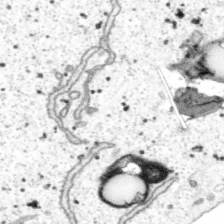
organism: Human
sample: HeLa cells